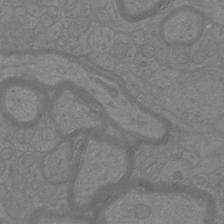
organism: Mouse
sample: Cortical neurons